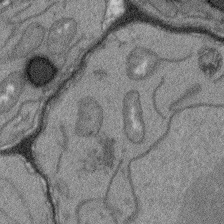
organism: Arabidopsis thaliana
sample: Root tip